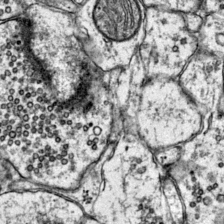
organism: Mouse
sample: Primary visual cortex